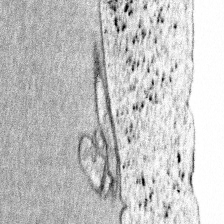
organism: Human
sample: HeLa cells